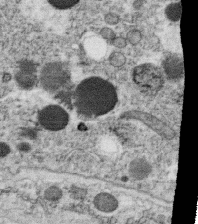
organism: C. elegans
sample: C. elegans oocyte; sperm cells